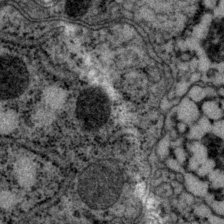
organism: P. pacificus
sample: Pharynx